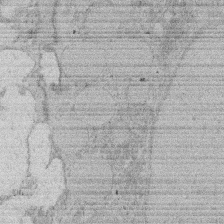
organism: Rat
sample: Salivary granule